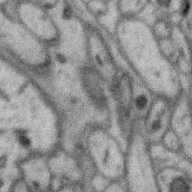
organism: Zebra finch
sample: Brain